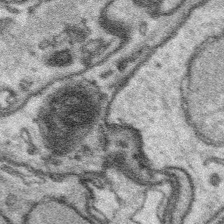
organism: Platynereis dumerilii